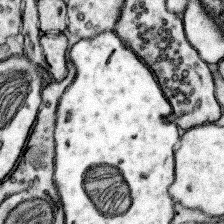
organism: Mouse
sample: Somatosensory cortex neuropil